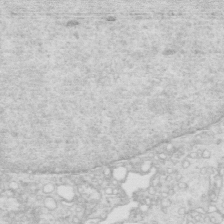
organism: Mouse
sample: Multiciliated cells